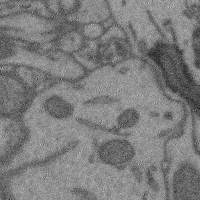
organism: Mouse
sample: Cerebral cortex